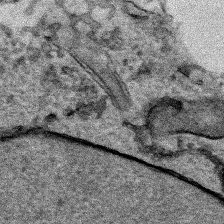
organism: Human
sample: Mitochondria in HCT116 cells